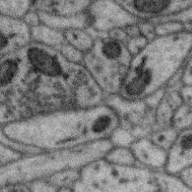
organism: Zebra finch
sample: Brain